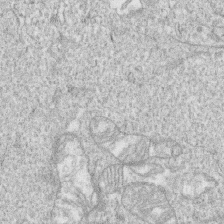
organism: Human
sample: HeLa cell HIV synapse